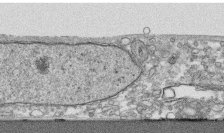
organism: Human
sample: CRL-1474